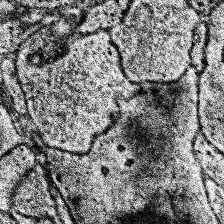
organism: Human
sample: Temporal Lobe